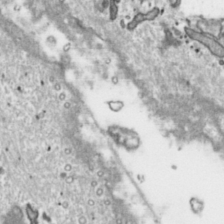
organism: Toxoplasma gondii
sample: Parasites in a vacuole inside a host cell